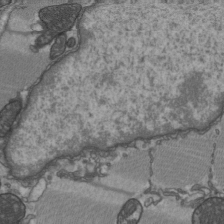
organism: C57BL Mouse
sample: Heart